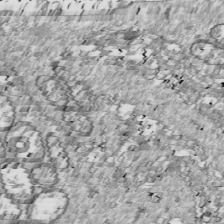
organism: Drosophila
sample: Cell division; meiosis; drosophila spermatocytes